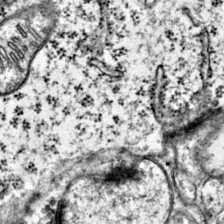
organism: Mouse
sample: Primary visual cortex